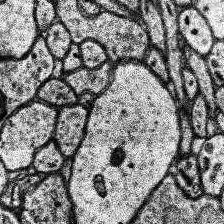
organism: Human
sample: Temporal Lobe